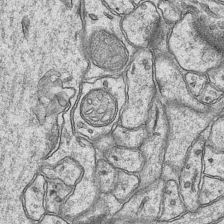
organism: Mouse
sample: CA1 Hippocampus